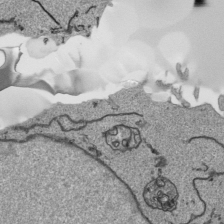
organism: Human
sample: Mitochondria in HCT116 cells